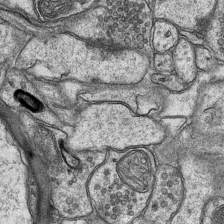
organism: Mouse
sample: CA1 Hippocampus